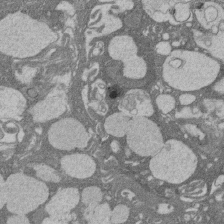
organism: Rat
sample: Salivary granule